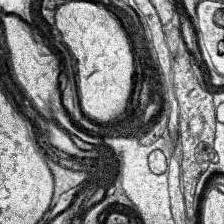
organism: Human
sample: Temporal Lobe